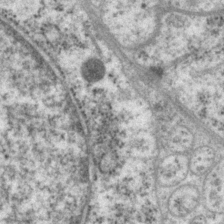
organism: P. pacificus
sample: Pharynx